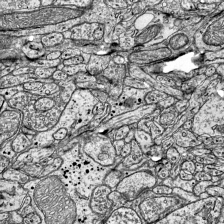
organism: Mouse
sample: Visual Cortex